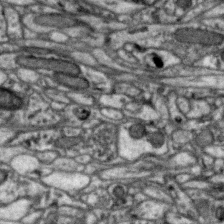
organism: Zebra finch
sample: Brain